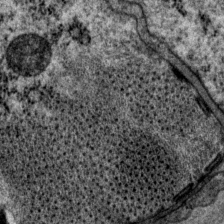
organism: P. pacificus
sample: Pharynx